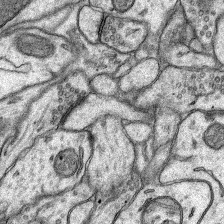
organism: Rat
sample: Hippocampus